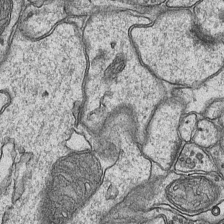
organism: Mouse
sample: CA1 Hippocampus